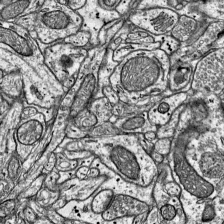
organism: Mouse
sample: Visual Cortex